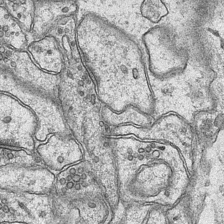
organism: Mouse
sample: CA1 Hippocampus